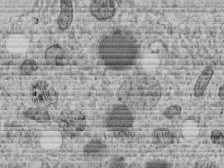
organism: C. elegans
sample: C. elegans embryo early stage